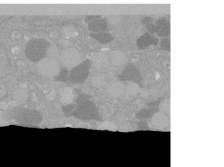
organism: C. elegans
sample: C. elegans oocyte; sperm cells